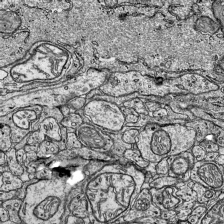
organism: Mouse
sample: Visual Cortex